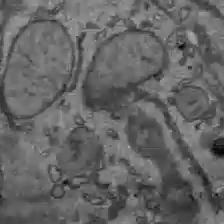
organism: C57BL Mouse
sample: Liver